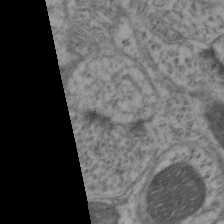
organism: Mouse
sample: Neocortex